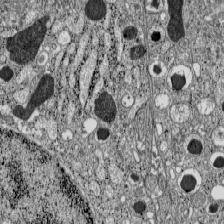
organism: C57BL Mouse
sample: Pancreatic islet